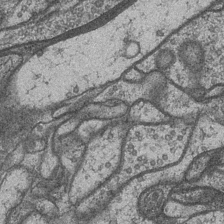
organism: Drosophila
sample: Optic medulla